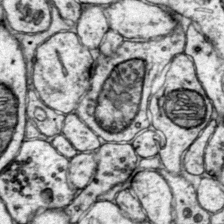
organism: Mouse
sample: Primary visual cortex